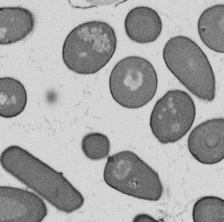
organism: B. subtilis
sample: Bacterial spore